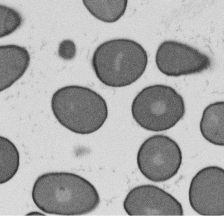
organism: B. subtilis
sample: Bacterial spore